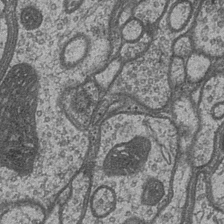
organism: Drosophila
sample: Optic medulla